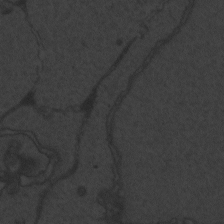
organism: Zebrafish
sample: Macrophage infected with Toxoplasma gondii